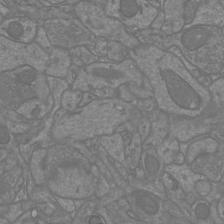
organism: Mouse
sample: Cortical neurons